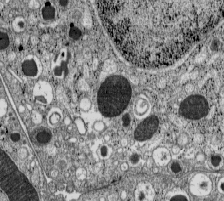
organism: C57BL Mouse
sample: Pancreatic islet